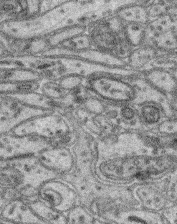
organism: Mouse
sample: Retina